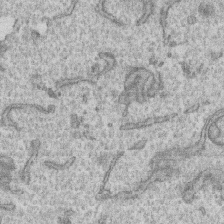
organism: Human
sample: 1205lu cells